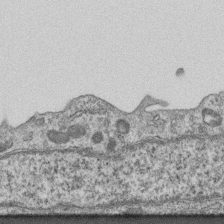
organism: Mouse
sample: Centriole in ependymal cells